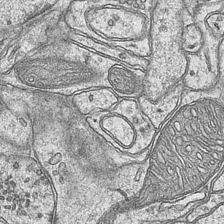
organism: Mouse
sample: CA1 Hippocampus